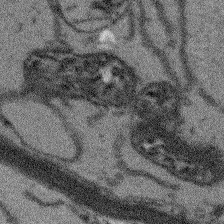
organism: Arabidopsis thaliana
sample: Root tip